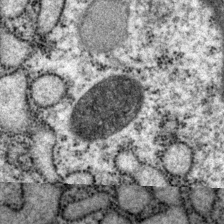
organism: P. pacificus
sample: Pharynx